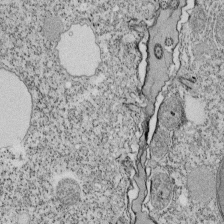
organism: Tetrahymena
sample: Cilia in tetrahymena